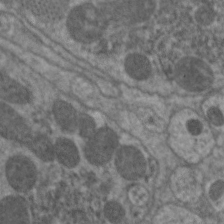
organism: C. elegans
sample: Pharynx